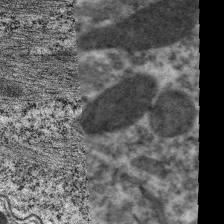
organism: C. elegans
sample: Pharynx